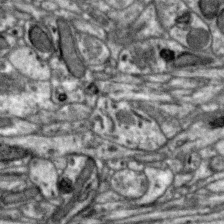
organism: Zebra finch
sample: Brain